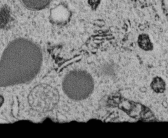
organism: C. elegans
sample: C. elegans embryo early stage